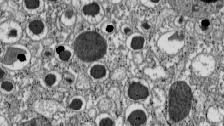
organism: C57BL Mouse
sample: Pancreatic islet